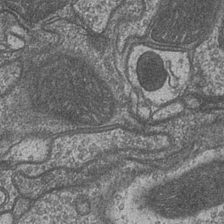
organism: Drosophila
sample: Optic medulla